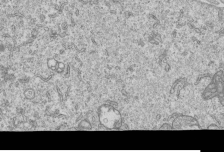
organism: Human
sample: MDA-MB-231 cells